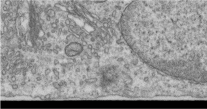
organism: Human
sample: Centriole in RPE cells